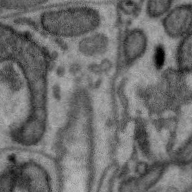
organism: Zebra finch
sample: Brain